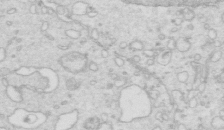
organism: Mouse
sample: Multiciliated cells